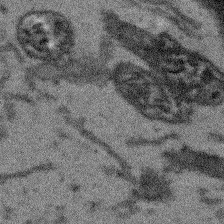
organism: Arabidopsis thaliana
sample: Root tip